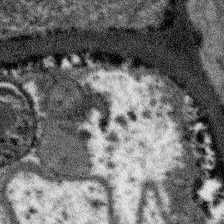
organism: Arabidopsis thaliana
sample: Root tip